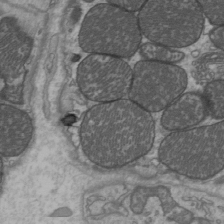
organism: C57BL Mouse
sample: Heart